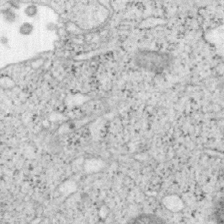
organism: Mouse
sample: OT-I killer T cells with ID8 ovarian cancer cells